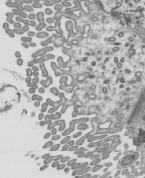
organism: Mouse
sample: Mouse epididymis efferent ductule cilia